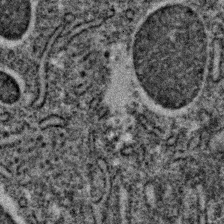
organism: C. elegans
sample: C. elegans embryo